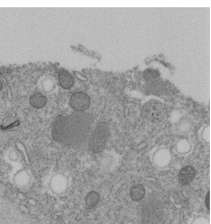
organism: C. elegans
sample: C. elegans embryo early stage